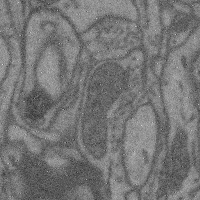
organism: Mouse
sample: Cerebral cortex